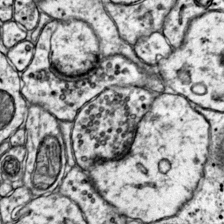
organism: Mouse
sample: Primary visual cortex